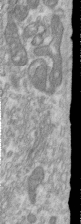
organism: Human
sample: Centriole in RPE cells